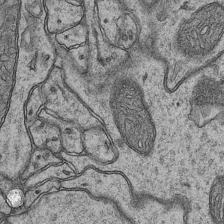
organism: Mouse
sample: CA1 Hippocampus